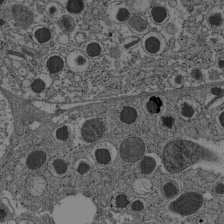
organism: C57BL Mouse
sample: Pancreatic islet